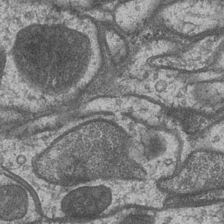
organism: Drosophila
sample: Optic medulla